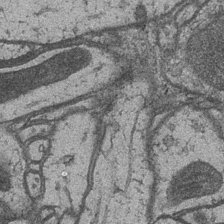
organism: Drosophila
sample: Optic medulla